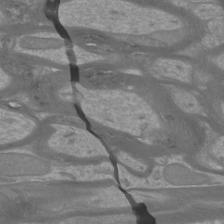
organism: Mouse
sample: Cortical neurons